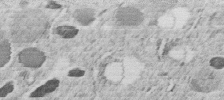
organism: C. elegans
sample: C. elegans embryo early stage